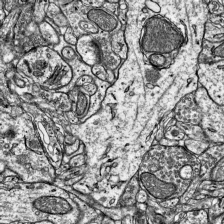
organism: Mouse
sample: Visual Cortex